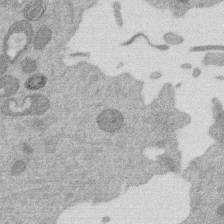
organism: Mouse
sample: Dividing mouse embryo 1 cell stage